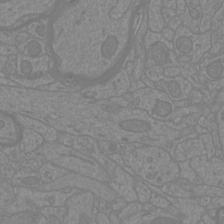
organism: Mouse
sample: Cortical neurons